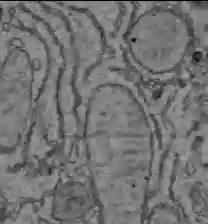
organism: C57BL Mouse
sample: Liver